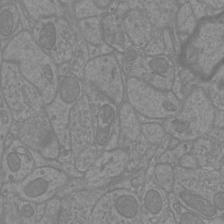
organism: Mouse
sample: Cortical neurons